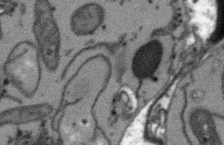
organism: Arabidopsis thaliana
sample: Root tip